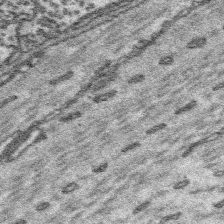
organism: Platynereis dumerilii